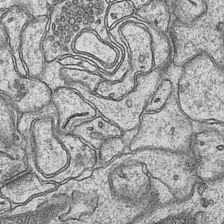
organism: Mouse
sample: CA1 Hippocampus